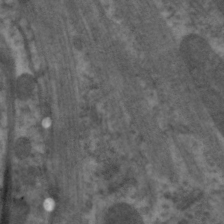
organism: C. elegans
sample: Pharynx